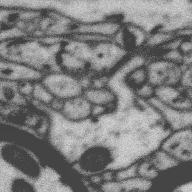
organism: Zebra finch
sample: Brain